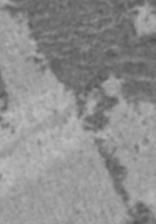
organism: C57BL Mouse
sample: Heart